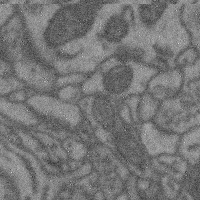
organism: Mouse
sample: Cerebral cortex